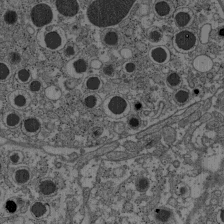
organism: C57BL Mouse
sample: Pancreatic islet